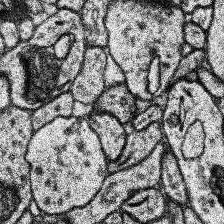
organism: Human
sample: Temporal Lobe